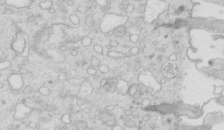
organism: Mouse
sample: Multiciliated cells